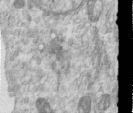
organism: Human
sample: Centriole in RPE cells